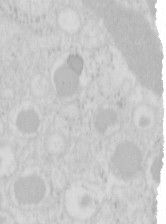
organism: Mouse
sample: Pancreas